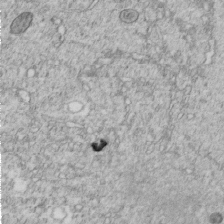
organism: C. elegans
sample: C. elegans embryo early stage